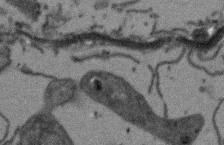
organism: Arabidopsis thaliana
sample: Root tip